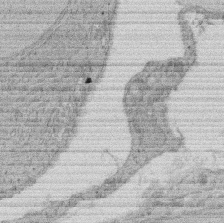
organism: Rat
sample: Salivary granule